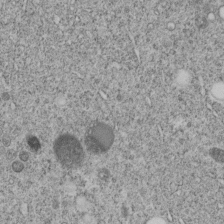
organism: C. elegans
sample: C. elegans embryo early stage